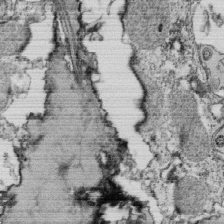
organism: Tetrahymena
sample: Cilia in tetrahymena